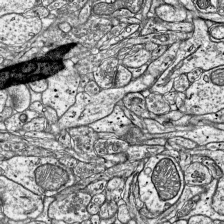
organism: Mouse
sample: Visual Cortex